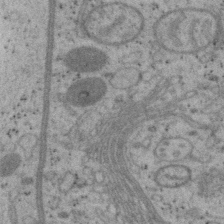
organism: Human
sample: HeLa cells